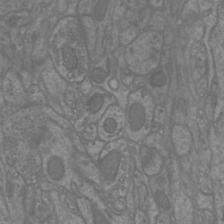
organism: Mouse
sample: Cortical neurons